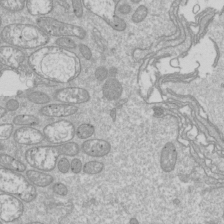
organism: Drosophila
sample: Cell division; meiosis; drosophila spermatocytes